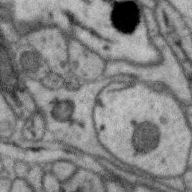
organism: Zebra finch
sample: Brain